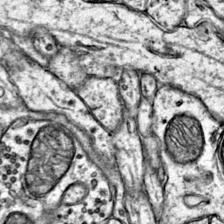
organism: Mouse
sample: Primary visual cortex